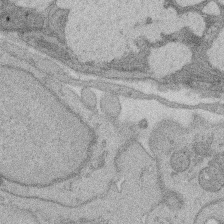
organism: Rat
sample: Salivary granule